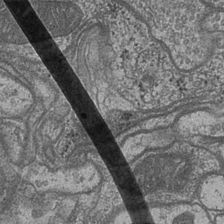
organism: Drosophila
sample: Optic medulla